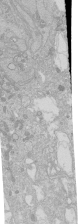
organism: Human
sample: Caco-2 cells